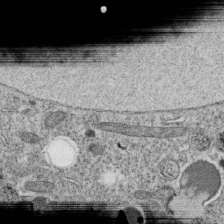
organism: C. elegans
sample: C. elegans oocyte; sperm cells